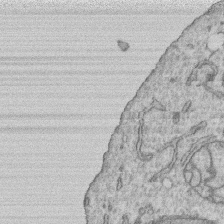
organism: Human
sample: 1205lu cells